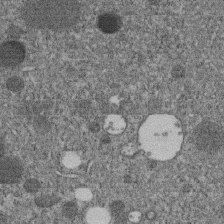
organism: C. elegans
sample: C. elegans embryo early stage